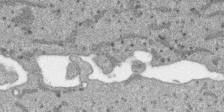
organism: Human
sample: Lung epithelial cells infected with SARS-CoV-2